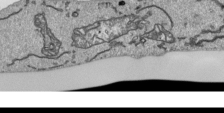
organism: Human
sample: Mitochondria in HCT116 cells